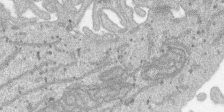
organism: Human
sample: Lung epithelial cells infected with SARS-CoV-2